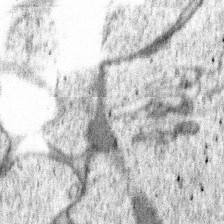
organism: Human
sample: HeLa cells